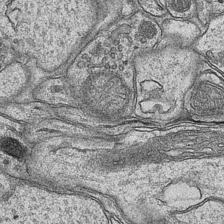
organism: Mouse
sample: CA1 Hippocampus